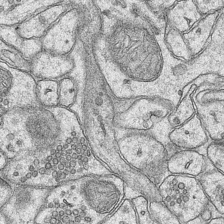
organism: Mouse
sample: CA1 Hippocampus